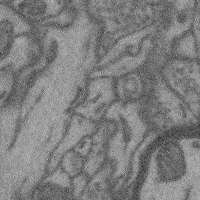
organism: Mouse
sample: Cerebral cortex